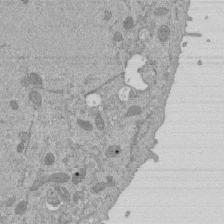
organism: Mouse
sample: ED-1 cell nuclei; centrioles